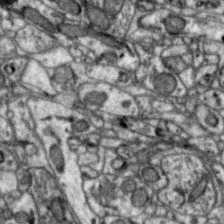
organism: Zebra finch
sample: Brain